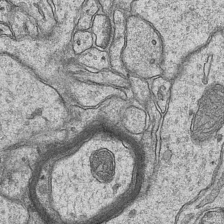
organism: Mouse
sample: CA1 Hippocampus